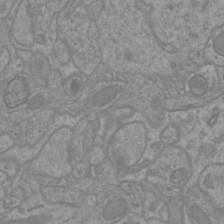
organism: Mouse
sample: Cortical neurons